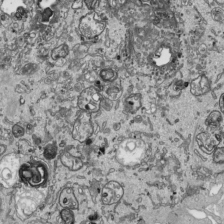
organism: Human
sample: Mitochondria in HCT116 cells